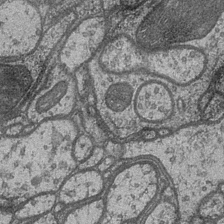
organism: Drosophila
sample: Optic medulla